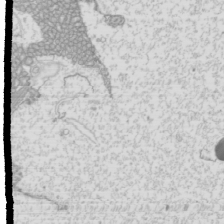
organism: Mouse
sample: Cilia; mouse epididymis